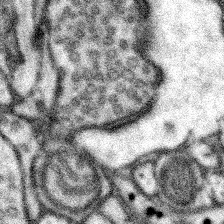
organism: Mouse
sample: Somatosensory cortex neuropil